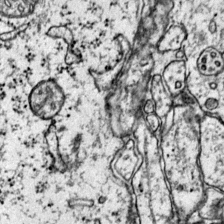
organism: Mouse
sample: Primary visual cortex